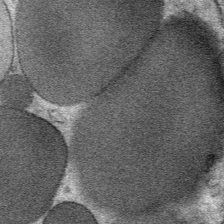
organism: Mouse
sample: Mouse Salivary gland